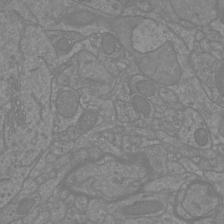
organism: Mouse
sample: Cortical neurons